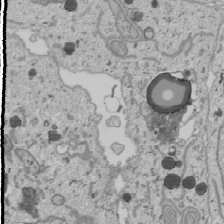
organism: Human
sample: Mitochondria in U2OS cells